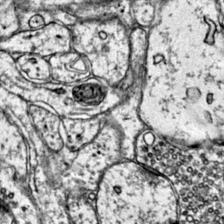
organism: Mouse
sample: Primary visual cortex